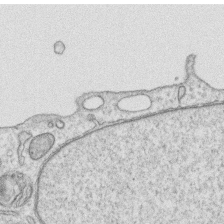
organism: Human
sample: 1205lu cells